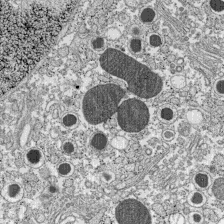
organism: C57BL Mouse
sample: Pancreatic islet